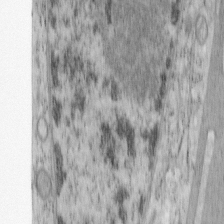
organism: Human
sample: HeLa cells